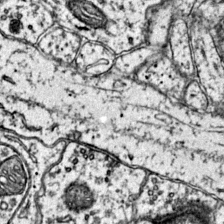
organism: Mouse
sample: Primary visual cortex